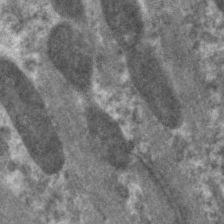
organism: C. elegans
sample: Pharynx